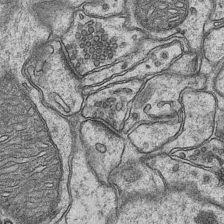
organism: Mouse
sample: CA1 Hippocampus